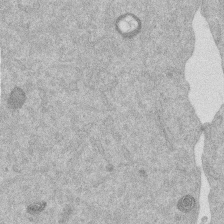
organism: Mouse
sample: Dividing mouse embryo 1 cell stage